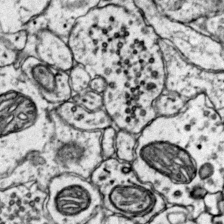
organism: Mouse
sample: Primary visual cortex